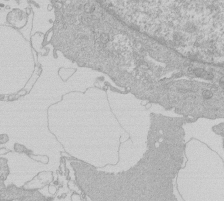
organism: Human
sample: Macrophage cells